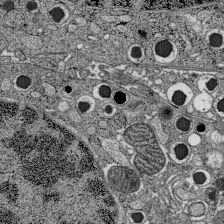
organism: C57BL Mouse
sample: Pancreatic islet